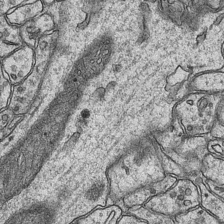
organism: Mouse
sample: CA1 Hippocampus